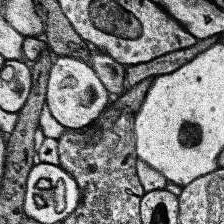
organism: Human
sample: Temporal Lobe